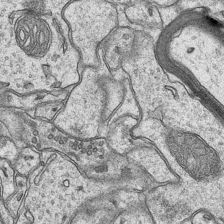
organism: Mouse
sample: CA1 Hippocampus